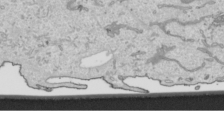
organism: Human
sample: Mitochondria in HCT116 cells